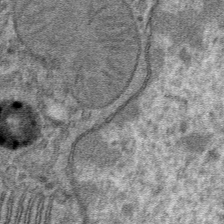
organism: Mouse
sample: Mouse hepatocytes